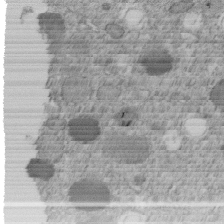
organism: C. elegans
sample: C. elegans embryo early stage